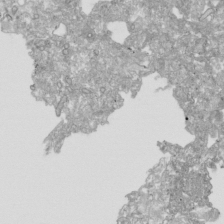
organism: Human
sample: Mitochondria in HCT116 cells